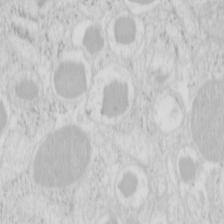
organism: Mouse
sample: Pancreas